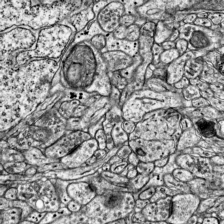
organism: Mouse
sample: Visual Cortex